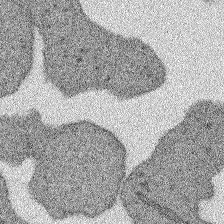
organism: Human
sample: HeLa cells